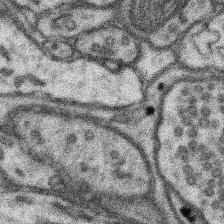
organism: Mouse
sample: Somatosensory cortex neuropil